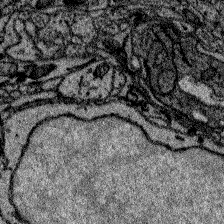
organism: Zebrafish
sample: Larval olfactory bulb